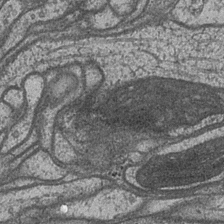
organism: Drosophila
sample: Optic medulla